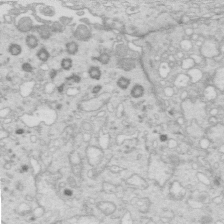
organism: Mouse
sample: Multiciliated cells